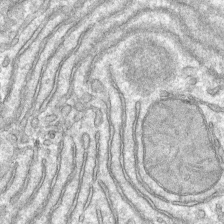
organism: Mouse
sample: Mouse hepatocytes